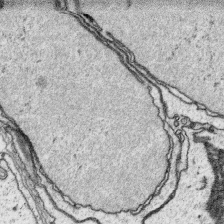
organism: Platynereis dumerilii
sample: Parapodia